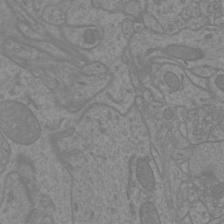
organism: Mouse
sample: Cortical neurons